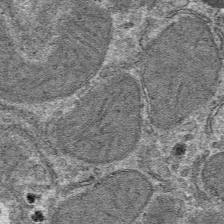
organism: Mouse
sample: Mouse hepatocytes